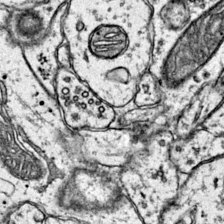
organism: Mouse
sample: Primary visual cortex